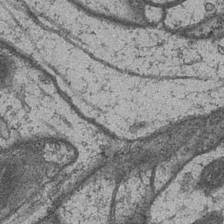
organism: Drosophila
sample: Optic medulla